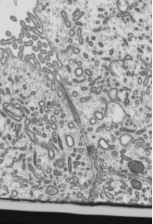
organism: Mouse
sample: Mouse epididymis efferent ductule cilia